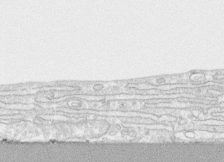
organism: Human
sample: CRL-1474